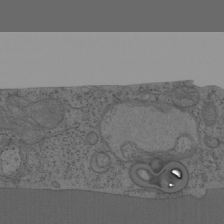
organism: Human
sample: HeLa cells